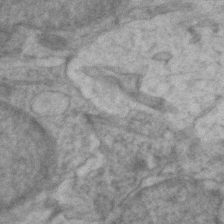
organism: Zebrafish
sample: Zebrafish embryo